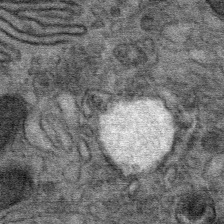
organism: Mouse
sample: Mouse Salivary gland